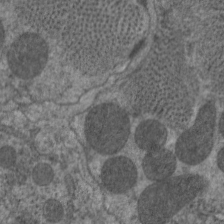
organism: C. elegans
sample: Pharynx